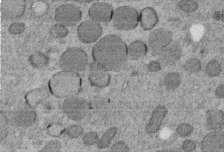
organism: C. elegans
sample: C. elegans embryo early stage